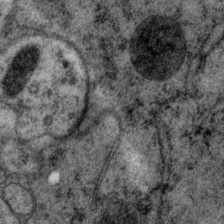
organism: P. pacificus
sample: Pharynx